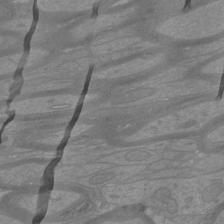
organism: Mouse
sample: Cortical neurons